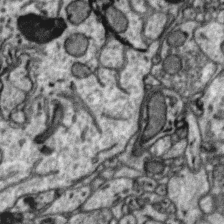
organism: Zebra finch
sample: Brain